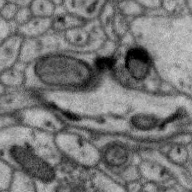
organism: Zebra finch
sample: Brain